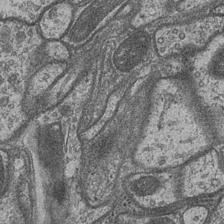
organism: Drosophila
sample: Optic medulla